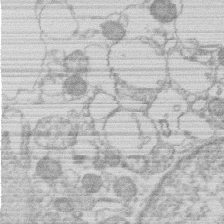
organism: Human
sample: Macrophage cells